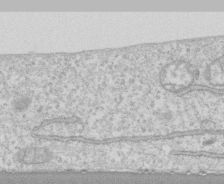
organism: Human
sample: CRL-1474